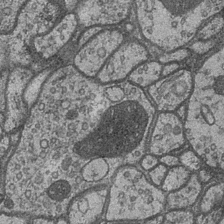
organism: Drosophila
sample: Optic medulla